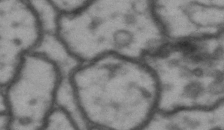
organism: Drosophila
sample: Brain